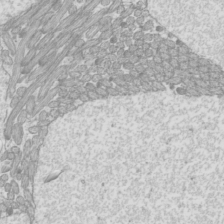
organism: Mouse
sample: Cilia; mouse epididymis